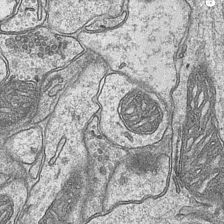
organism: Mouse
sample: CA1 Hippocampus